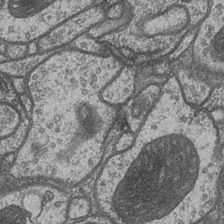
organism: Drosophila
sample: Optic medulla